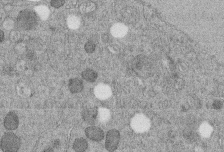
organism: C. elegans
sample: C. elegans embryo early stage